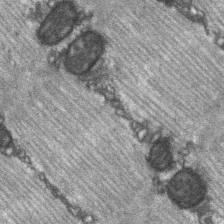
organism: C57BL Mouse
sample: Soleus